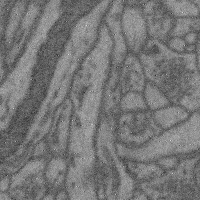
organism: Mouse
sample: Cerebral cortex